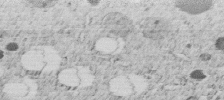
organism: C. elegans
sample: C. elegans embryo early stage